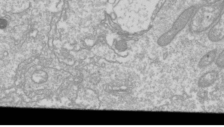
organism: Drosophila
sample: Cell division; meiosis; drosophila spermatocytes